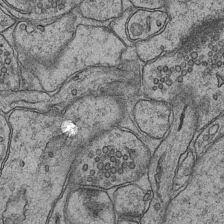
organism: Mouse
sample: CA1 Hippocampus